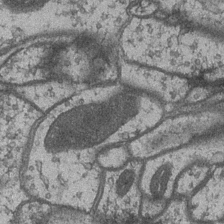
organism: Drosophila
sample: Optic medulla